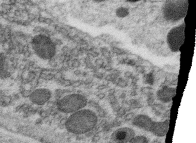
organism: C. elegans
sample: C. elegans oocyte; sperm cells